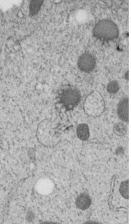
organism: C. elegans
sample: C. elegans embryo early stage